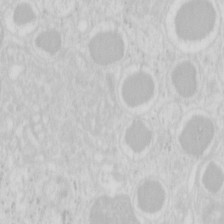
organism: Mouse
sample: Pancreas